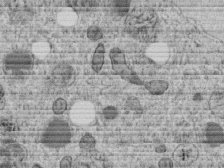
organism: C. elegans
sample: C. elegans embryo early stage